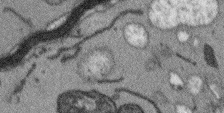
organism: Arabidopsis thaliana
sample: Root tip